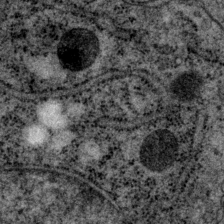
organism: P. pacificus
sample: Pharynx